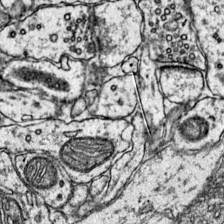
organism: Mouse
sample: Primary visual cortex